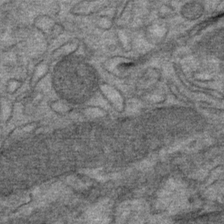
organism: Mouse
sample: Mouse Salivary gland